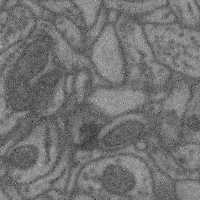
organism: Mouse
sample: Cerebral cortex